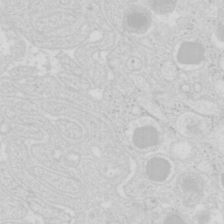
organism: Mouse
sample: Pancreas